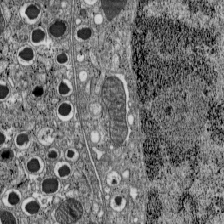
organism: C57BL Mouse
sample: Pancreatic islet